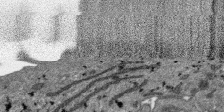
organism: Human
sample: Lung epithelial cells, uninfected (mock) control